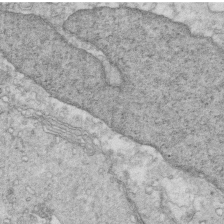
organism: Mouse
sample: Multiciliated cells